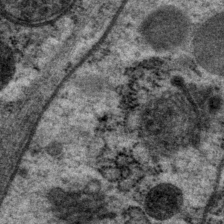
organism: P. pacificus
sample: Pharynx